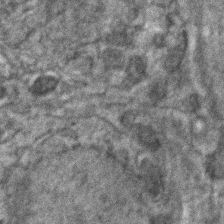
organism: Zebrafish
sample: Zebrafish embryo